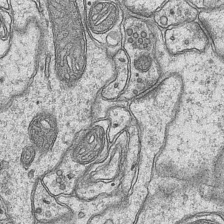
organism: Mouse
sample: CA1 Hippocampus